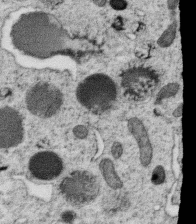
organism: C. elegans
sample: C. elegans oocyte; sperm cells